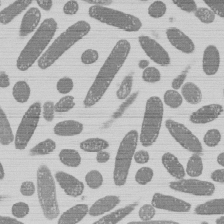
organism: E. coli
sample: Bacterial nucleoid